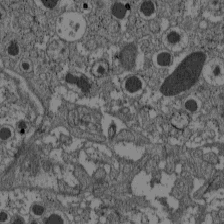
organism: C57BL Mouse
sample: Pancreatic islet